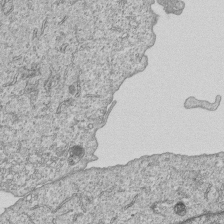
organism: Human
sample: MDA-MB-231 cells